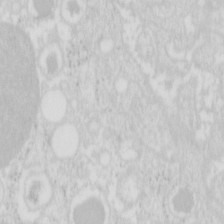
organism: Mouse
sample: Pancreas